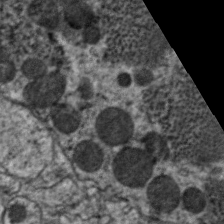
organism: C. elegans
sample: Pharynx